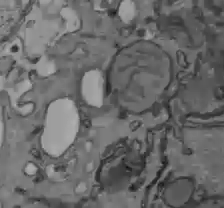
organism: C57BL Mouse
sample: Liver